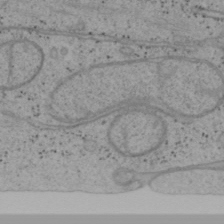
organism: Human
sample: HeLa cells